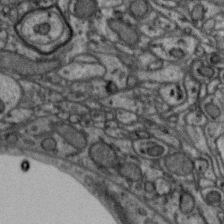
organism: Zebra finch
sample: Brain